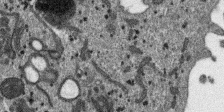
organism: Human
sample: Lung epithelial cells infected with SARS-CoV-2